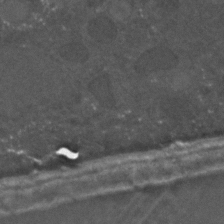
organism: C. elegans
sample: C. elegans embryo